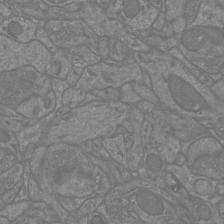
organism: Mouse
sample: Cortical neurons